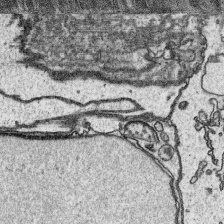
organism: Platynereis dumerilii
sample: Parapodia